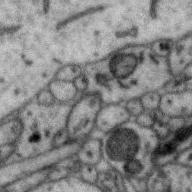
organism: Zebra finch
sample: Brain